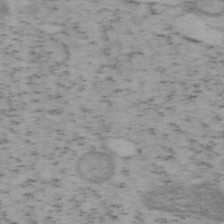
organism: Mouse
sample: OT-I killer T cells with ID8 ovarian cancer cells